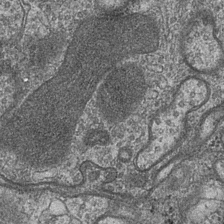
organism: Drosophila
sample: Optic medulla